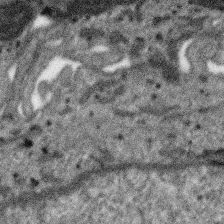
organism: Human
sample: Lung epithelial cells infected with SARS-CoV-2